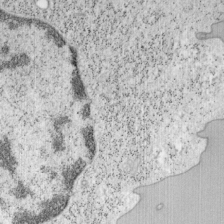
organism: Mouse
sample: OT-I killer T cells with ID8 ovarian cancer cells